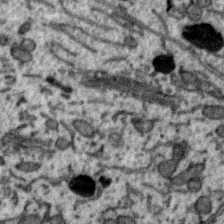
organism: Zebra finch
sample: Brain